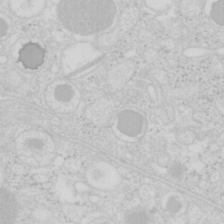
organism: Mouse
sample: Pancreas